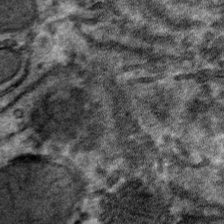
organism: Mouse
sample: Mouse hepatocytes